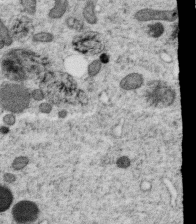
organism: C. elegans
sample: C. elegans oocyte; sperm cells